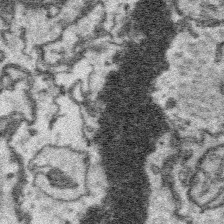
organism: Platynereis dumerilii